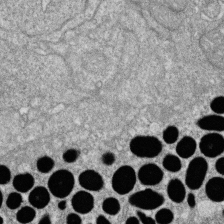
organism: Zebrafish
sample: Cilia; retinal pigment epithelium